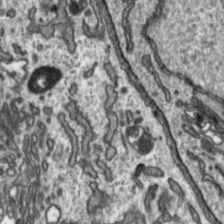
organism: Toxoplasma gondii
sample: Parasites in a vacuole inside a host cell